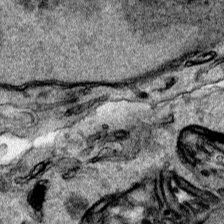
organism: Human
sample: Mitochondria in HCT116 cells